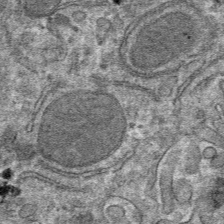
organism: Mouse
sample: Mouse hepatocytes